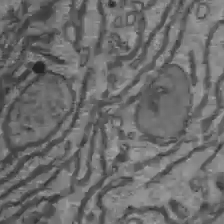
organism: C57BL Mouse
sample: Liver